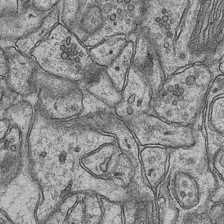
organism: Mouse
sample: CA1 Hippocampus